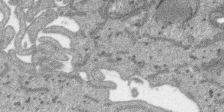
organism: Human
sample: Lung epithelial cells infected with SARS-CoV-2